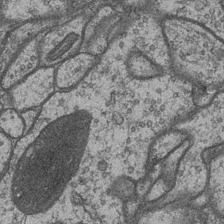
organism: Drosophila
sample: Optic medulla